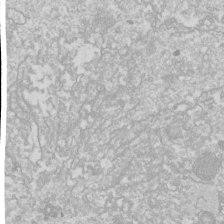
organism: Drosophila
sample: Cell division; meiosis; drosophila spermatocytes